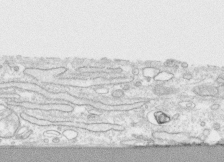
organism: Human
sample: CRL-1474